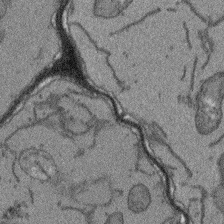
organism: Arabidopsis thaliana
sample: Root tip